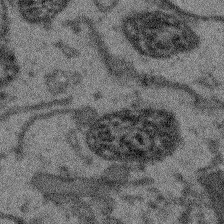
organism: Arabidopsis thaliana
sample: Root tip